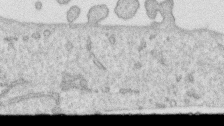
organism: Human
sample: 1205lu cells